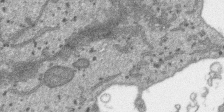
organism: Human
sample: Lung epithelial cells infected with SARS-CoV-2